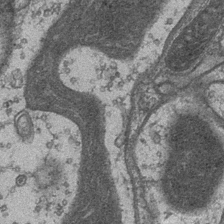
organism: Drosophila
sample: Optic medulla